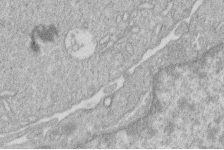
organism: Human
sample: Macrophage cells